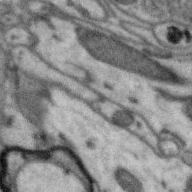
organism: Zebra finch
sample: Brain